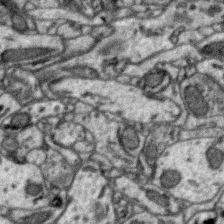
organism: Zebra finch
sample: Brain